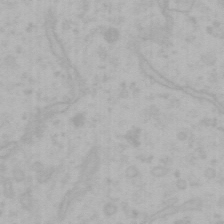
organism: Mouse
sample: Choroid plexus